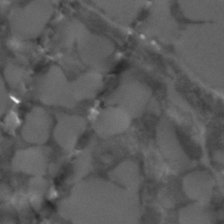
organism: C. elegans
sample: C. elegans embryo